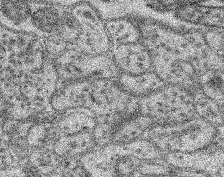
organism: Mouse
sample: Retina